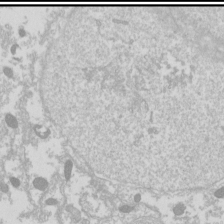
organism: Drosophila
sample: Cell division; meiosis; drosophila spermatocytes